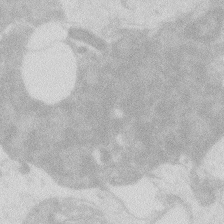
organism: Zebrafish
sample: Macrophage